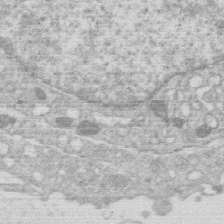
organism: Human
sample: Macrophage cells